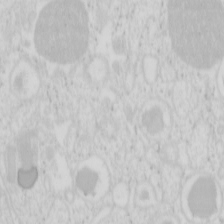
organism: Mouse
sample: Pancreas